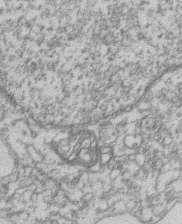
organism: Mouse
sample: T cell stromal cell synapse